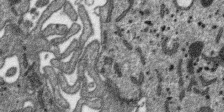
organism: Human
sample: Lung epithelial cells infected with SARS-CoV-2